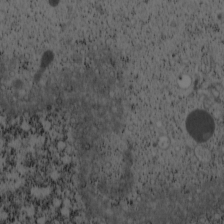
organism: African green monkey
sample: COS-7 cells